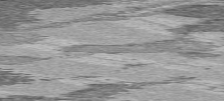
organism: C57BL Mouse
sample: Heart